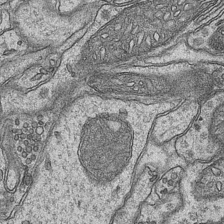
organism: Mouse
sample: CA1 Hippocampus